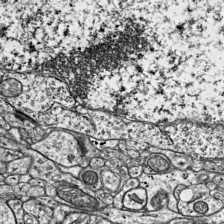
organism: Mouse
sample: Visual Cortex